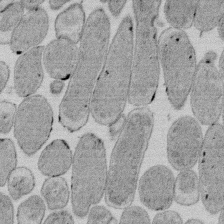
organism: E. coli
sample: Bacterial nucleoid